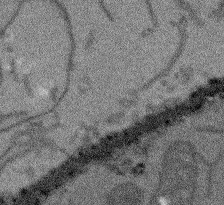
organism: Arabidopsis thaliana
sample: Root tip